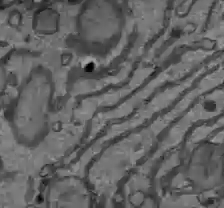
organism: C57BL Mouse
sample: Liver